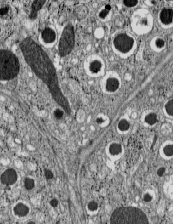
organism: C57BL Mouse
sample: Pancreatic islet